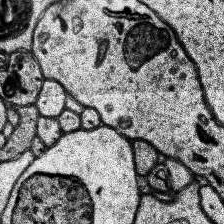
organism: Human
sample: Temporal Lobe